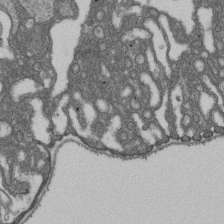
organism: Drosophila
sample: Nephrocyte